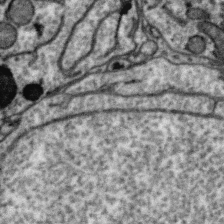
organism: Zebra finch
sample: Brain